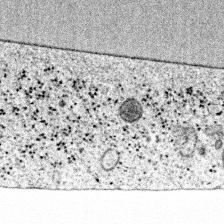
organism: Human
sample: HeLa cells